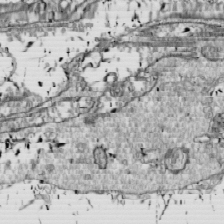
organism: Drosophila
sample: Cell division; meiosis; drosophila spermatocytes